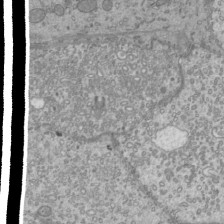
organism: Mouse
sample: Cilia; mouse epididymis